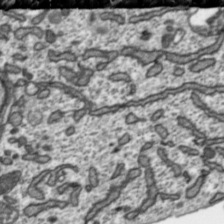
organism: Toxoplasma gondii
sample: Parasites in a vacuole inside a host cell